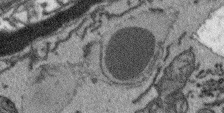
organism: Arabidopsis thaliana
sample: Root tip